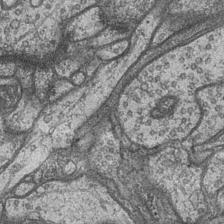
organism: Drosophila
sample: Optic medulla